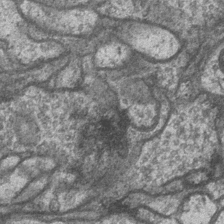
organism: Drosophila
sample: Optic medulla